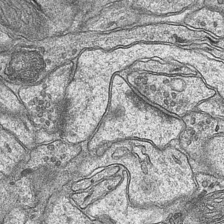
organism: Mouse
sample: CA1 Hippocampus